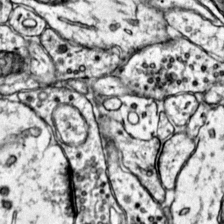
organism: Mouse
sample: Primary visual cortex